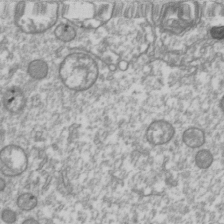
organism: Drosophila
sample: Cell division; meiosis; drosophila spermatocytes